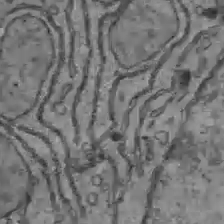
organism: C57BL Mouse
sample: Liver